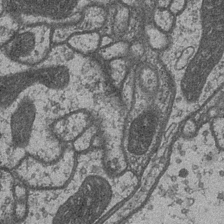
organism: Drosophila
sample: Optic medulla